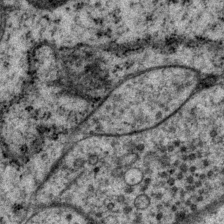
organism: P. pacificus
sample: Pharynx